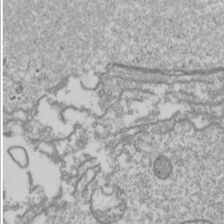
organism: Drosophila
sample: Cell division; meiosis; drosophila spermatocytes